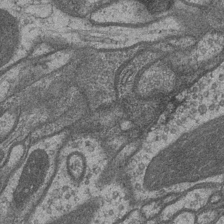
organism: Drosophila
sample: Optic medulla